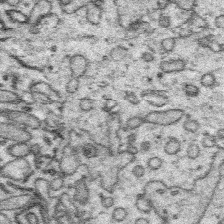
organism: Platynereis dumerilii